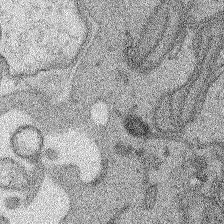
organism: Human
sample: HeLa cells